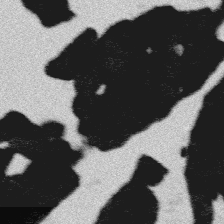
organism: Platynereis dumerilii